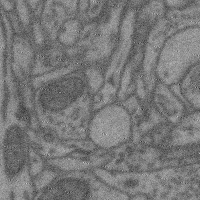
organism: Mouse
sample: Cerebral cortex